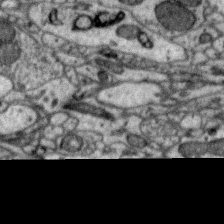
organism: Zebra finch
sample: Brain